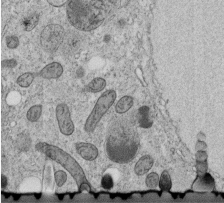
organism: C. elegans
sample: C. elegans embryo early stage